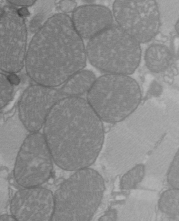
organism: C57BL Mouse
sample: Heart